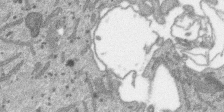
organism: Human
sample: Lung epithelial cells infected with SARS-CoV-2